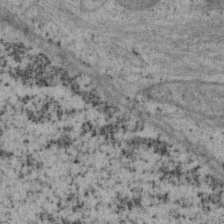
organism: Human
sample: HeLa cells